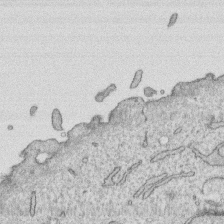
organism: Human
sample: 1205lu cells